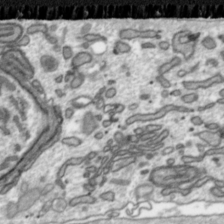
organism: Toxoplasma gondii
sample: Parasites in a vacuole inside a host cell